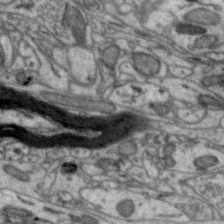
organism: Zebra finch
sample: Brain